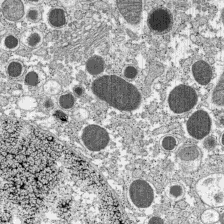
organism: C57BL Mouse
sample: Pancreatic islet